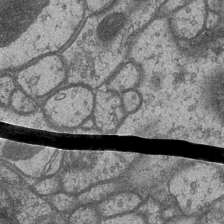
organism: Drosophila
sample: Optic medulla